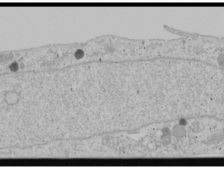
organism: Human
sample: Mitochondria in U2OS cells